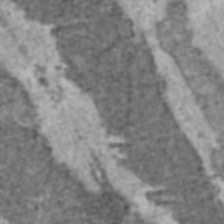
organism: C57BL Mouse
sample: Heart